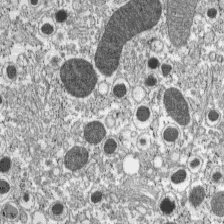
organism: C57BL Mouse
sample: Pancreatic islet